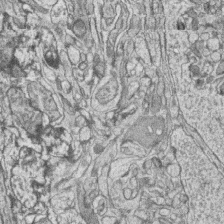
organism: Zebrafish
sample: synaptic ribbons in rod cells and cone cells